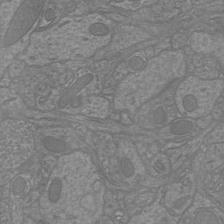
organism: Mouse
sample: Cortical neurons